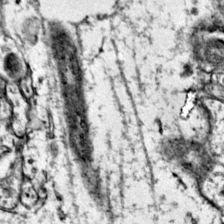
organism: Mouse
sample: Primary visual cortex